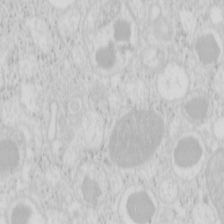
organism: Mouse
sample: Pancreas